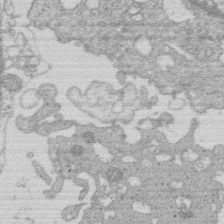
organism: Human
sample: Macrophage cells